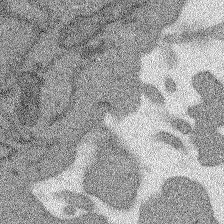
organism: Human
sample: HeLa cells